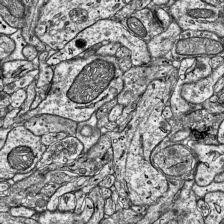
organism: Mouse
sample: Visual Cortex